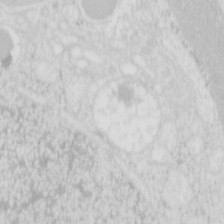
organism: Mouse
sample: Pancreas